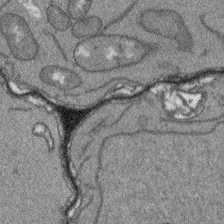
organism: Arabidopsis thaliana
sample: Root tip